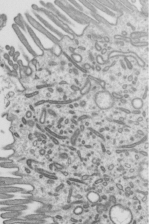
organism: Mouse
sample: Mouse epididymis efferent ductule cilia